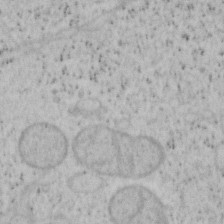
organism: Human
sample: HeLa cells